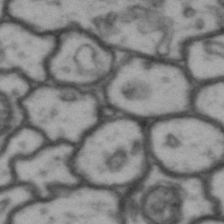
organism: Drosophila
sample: Brain